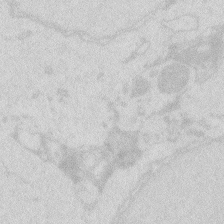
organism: Zebrafish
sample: Macrophage